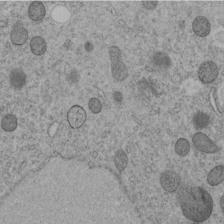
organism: C. elegans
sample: C. elegans embryo early stage